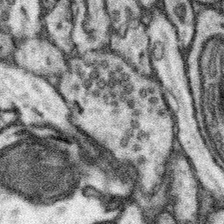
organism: Mouse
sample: Somatosensory cortex neuropil